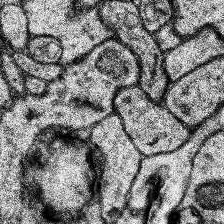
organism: Human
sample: Temporal Lobe